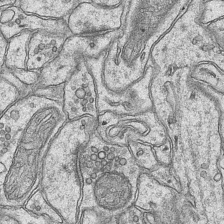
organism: Mouse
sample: CA1 Hippocampus